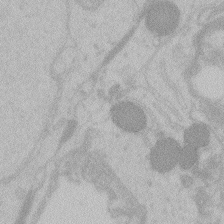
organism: Zebrafish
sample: Macrophage infected with Toxoplasma gondii